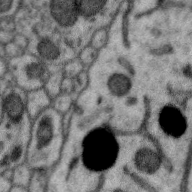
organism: Zebra finch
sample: Brain